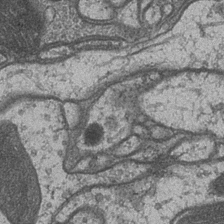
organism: Drosophila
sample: Optic medulla